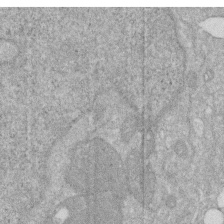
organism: Human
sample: HIV infected U937 cells